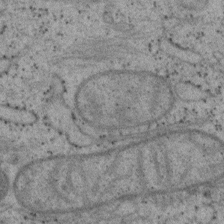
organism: Human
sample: HeLa cells